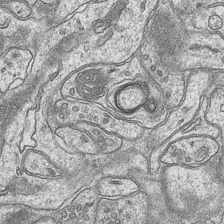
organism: Mouse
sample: CA1 Hippocampus